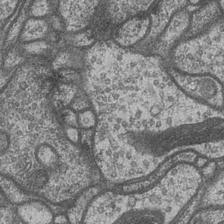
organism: Drosophila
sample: Optic medulla